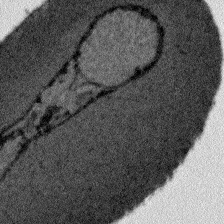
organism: Plasmodium falciparum